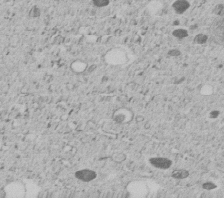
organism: C. elegans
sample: C. elegans embryo early stage